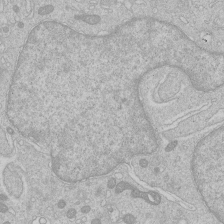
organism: Human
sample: Macrophage cells